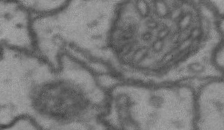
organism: Drosophila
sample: Brain